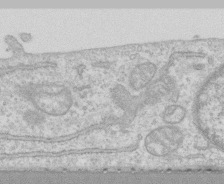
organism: Human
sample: CRL-1474